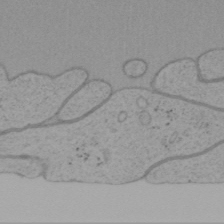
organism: Human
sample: HeLa cells